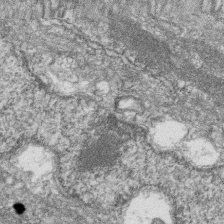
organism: Zebrafish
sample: Cilia; retinal pigment epithelium